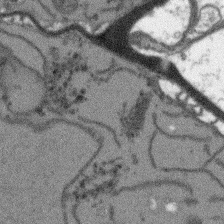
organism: Arabidopsis thaliana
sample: Root tip